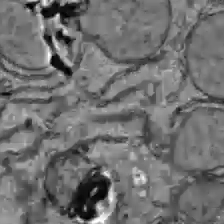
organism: C57BL Mouse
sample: Liver